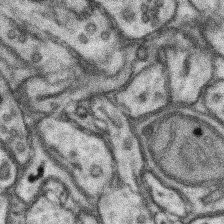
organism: Mouse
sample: Somatosensory cortex neuropil